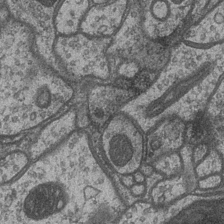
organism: Drosophila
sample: Optic medulla